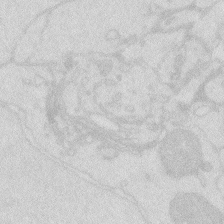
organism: Zebrafish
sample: Macrophage